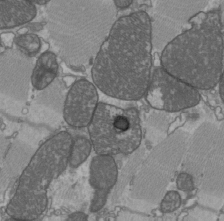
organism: C57BL Mouse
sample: Heart